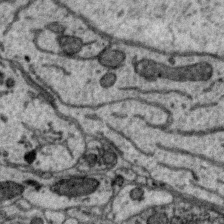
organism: Zebra finch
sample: Brain